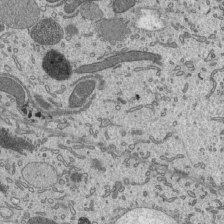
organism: Mouse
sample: Mouse epididymis efferent ductule cilia